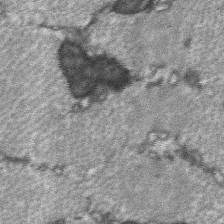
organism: C57BL Mouse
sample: Soleus